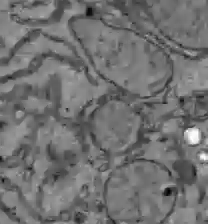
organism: C57BL Mouse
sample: Liver